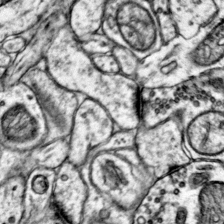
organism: Mouse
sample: Primary visual cortex